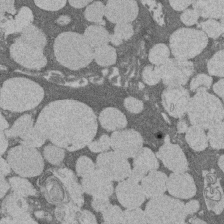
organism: Rat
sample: Salivary granule